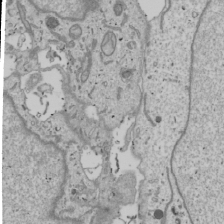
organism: Human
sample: Mitochondria in U2OS cells